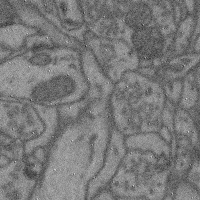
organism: Mouse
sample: Cerebral cortex